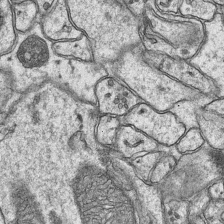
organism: Mouse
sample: CA1 Hippocampus